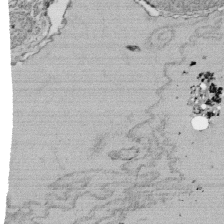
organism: Tetrahymena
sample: Cilia in tetrahymena